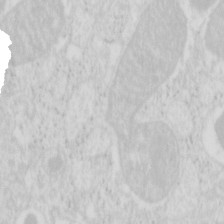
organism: Mouse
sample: Pancreas